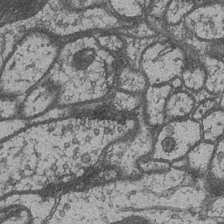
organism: Drosophila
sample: Optic medulla